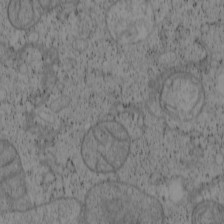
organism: African green monkey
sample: COS-7 cells